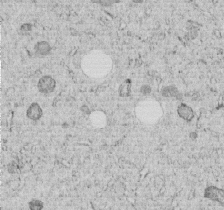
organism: C. elegans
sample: C. elegans embryo early stage